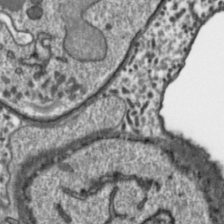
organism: Toxoplasma gondii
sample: Parasites in a vacuole inside a host cell